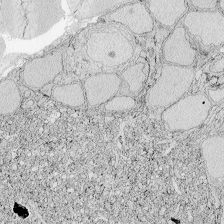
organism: Zebrafish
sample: Whole-Brain